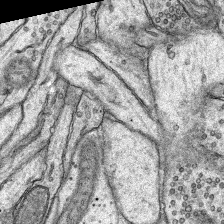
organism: Rat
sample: Hippocampus